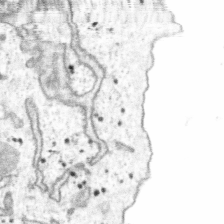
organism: Human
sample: HeLa cells